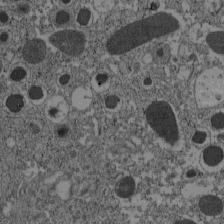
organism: C57BL Mouse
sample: Pancreatic islet